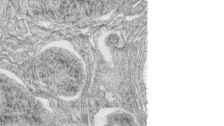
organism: Zebrafish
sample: synaptic ribbons in rod cells and cone cells